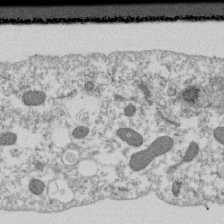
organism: Dictyostelium discoideum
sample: Dictyostelium multivesicular bodies